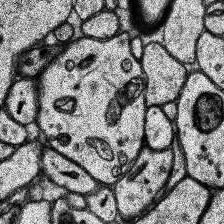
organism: Human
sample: Temporal Lobe